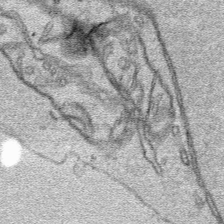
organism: Human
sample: Mitochondria in HCT116 cells